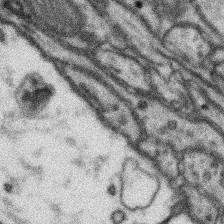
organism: Mouse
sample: Somatosensory cortex neuropil